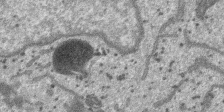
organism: Human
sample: Lung epithelial cells infected with SARS-CoV-2